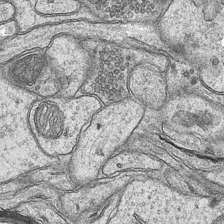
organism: Mouse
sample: CA1 Hippocampus